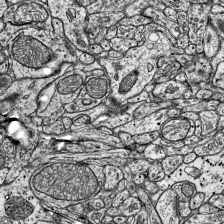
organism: Mouse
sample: Visual Cortex